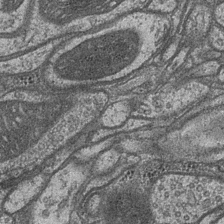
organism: Drosophila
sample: Optic medulla